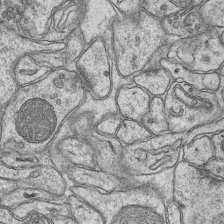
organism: Mouse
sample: CA1 Hippocampus